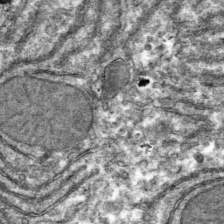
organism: Mouse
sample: Mouse hepatocytes